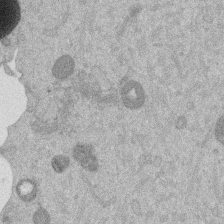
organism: Mouse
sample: Dividing mouse embryo 1 cell stage